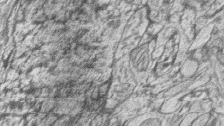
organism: Zebrafish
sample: synaptic ribbons in rod cells and cone cells